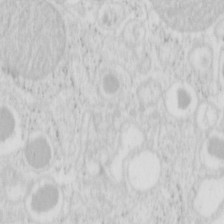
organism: Mouse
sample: Pancreas